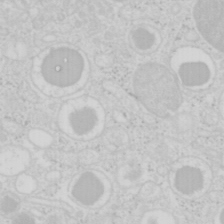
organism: Mouse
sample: Pancreas